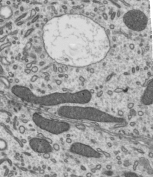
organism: Mouse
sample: Mouse epididymis efferent ductule cilia